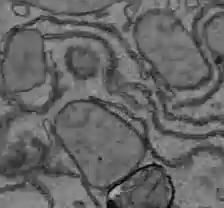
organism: C57BL Mouse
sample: Liver